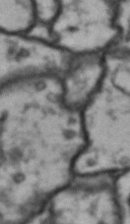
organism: Drosophila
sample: Brain